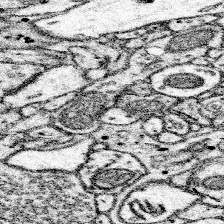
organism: Mouse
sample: Somatosensory cortex neuropil